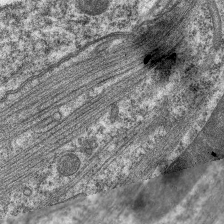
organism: C. elegans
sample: Pharynx